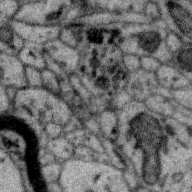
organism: Zebra finch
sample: Brain